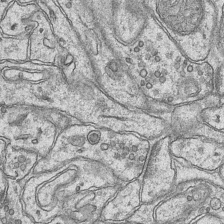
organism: Mouse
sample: CA1 Hippocampus